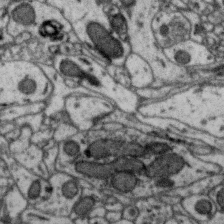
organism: Zebra finch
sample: Brain